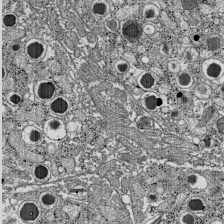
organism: C57BL Mouse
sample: Pancreatic islet